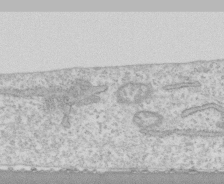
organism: Human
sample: CRL-1474